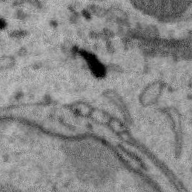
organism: Zebra finch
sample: Brain